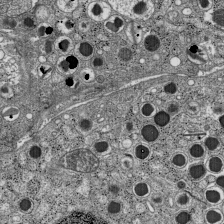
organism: C57BL Mouse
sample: Pancreatic islet